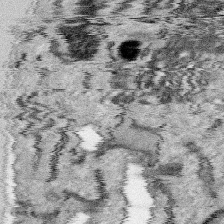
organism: Human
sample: HeLa cells